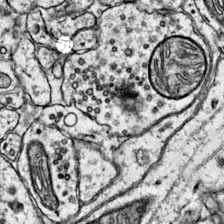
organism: Mouse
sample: Primary visual cortex